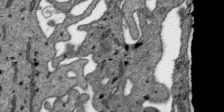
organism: Human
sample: Lung epithelial cells, uninfected (mock) control